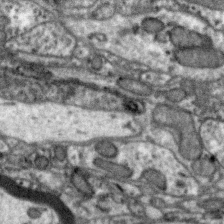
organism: Zebra finch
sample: Brain